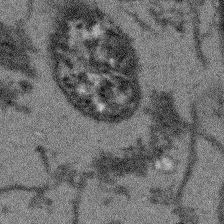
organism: Arabidopsis thaliana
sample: Root tip